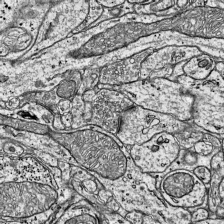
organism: Mouse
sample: Visual Cortex